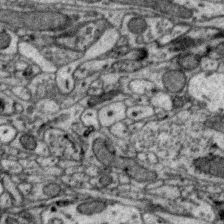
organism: Zebra finch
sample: Brain